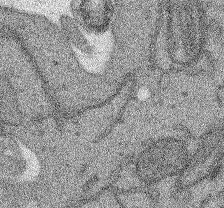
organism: Human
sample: HeLa cells